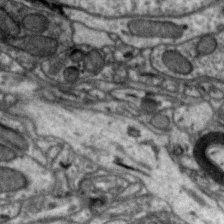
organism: Zebra finch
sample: Brain